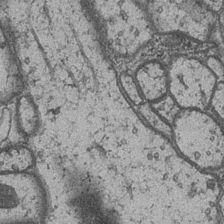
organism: Drosophila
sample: Optic medulla